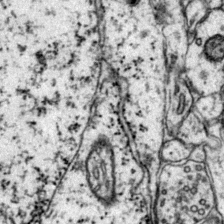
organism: Mouse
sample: Primary visual cortex